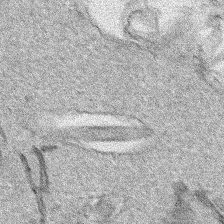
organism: Human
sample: Mitochondria in HCT116 cells